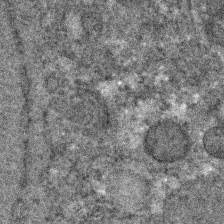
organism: C. elegans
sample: C. elegans embryo